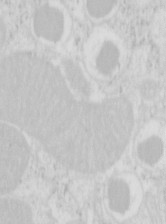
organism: Mouse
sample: Pancreas